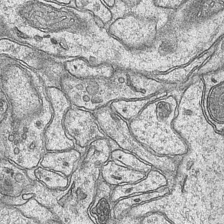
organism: Mouse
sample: CA1 Hippocampus